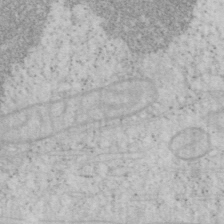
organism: Human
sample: HeLa cells